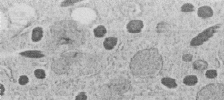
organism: C. elegans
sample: C. elegans embryo early stage